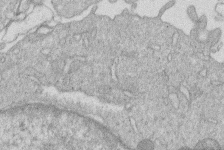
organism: Human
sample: Macrophage cells